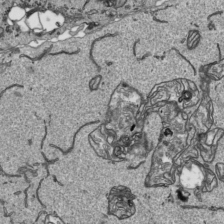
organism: Human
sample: Mitochondria in HCT116 cells